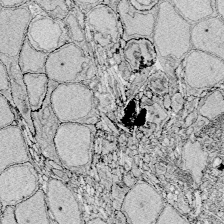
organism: Zebrafish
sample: Whole-Brain